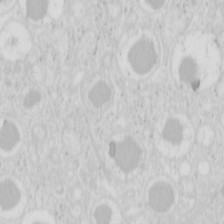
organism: Mouse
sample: Pancreas